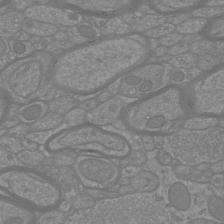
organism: Mouse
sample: Cortical neurons